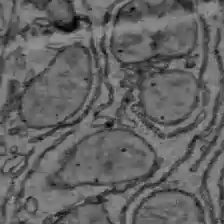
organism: C57BL Mouse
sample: Liver